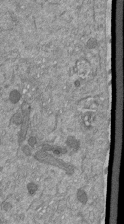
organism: Mouse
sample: ED-1 cell nuclei; centrioles